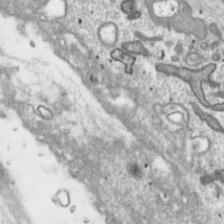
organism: Toxoplasma gondii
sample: Parasites in a vacuole inside a host cell